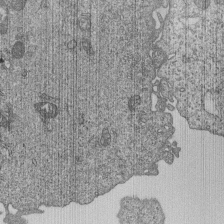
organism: Human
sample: MDA-MB-231 cells